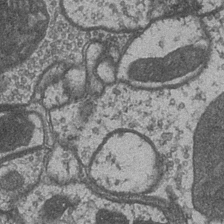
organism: Drosophila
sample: Optic medulla